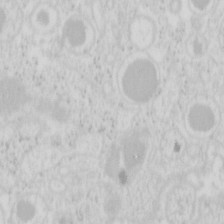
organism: Mouse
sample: Pancreas